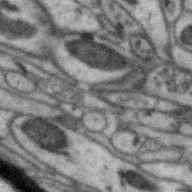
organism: Zebra finch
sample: Brain